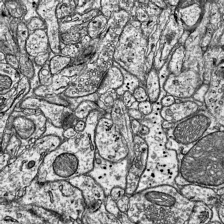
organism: Mouse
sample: Visual Cortex